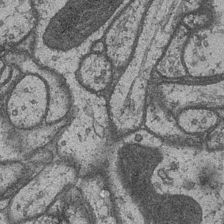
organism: Drosophila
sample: Optic medulla